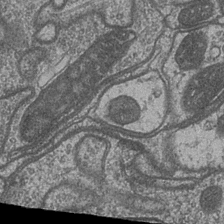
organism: Drosophila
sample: Optic medulla